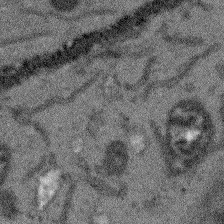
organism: Arabidopsis thaliana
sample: Root tip